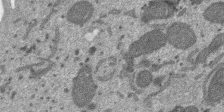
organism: Human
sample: Lung epithelial cells infected with SARS-CoV-2